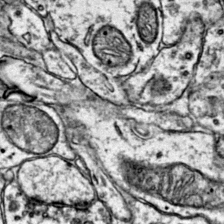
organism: Mouse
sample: Primary visual cortex